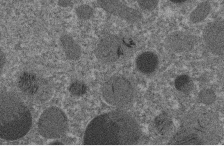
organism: C. elegans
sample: C. elegans embryo early stage